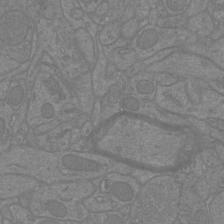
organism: Mouse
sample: Cortical neurons